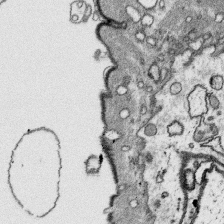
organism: Platynereis dumerilii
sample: Parapodia